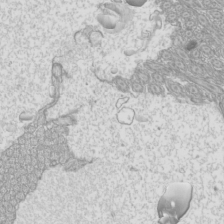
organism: Mouse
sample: Cilia; mouse epididymis